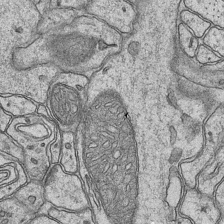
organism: Mouse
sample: CA1 Hippocampus